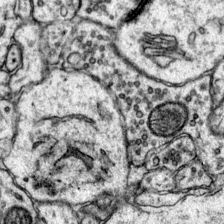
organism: Mouse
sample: Primary visual cortex